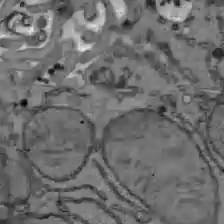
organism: C57BL Mouse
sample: Liver